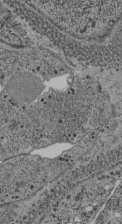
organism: C. elegans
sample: C. elegans pharynx